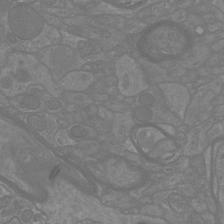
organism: Mouse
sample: Cortical neurons